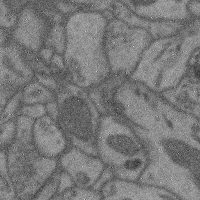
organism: Mouse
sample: Cerebral cortex